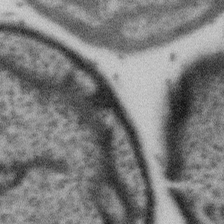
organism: Gemmata obscuriglobus